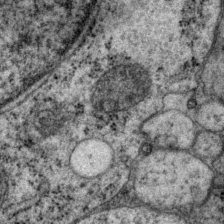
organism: P. pacificus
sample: Pharynx